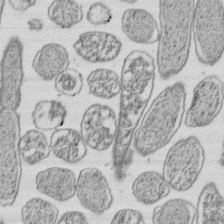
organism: E. coli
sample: Bacterial nucleoid